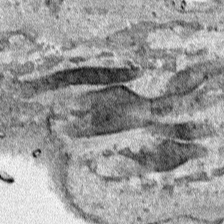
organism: Human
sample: Mitochondria in HCT116 cells